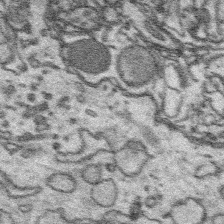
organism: Platynereis dumerilii